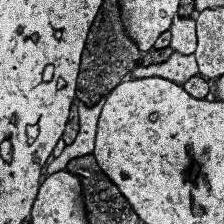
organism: Human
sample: Temporal Lobe